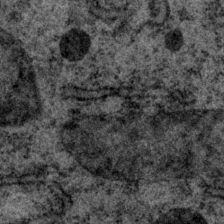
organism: P. pacificus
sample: Pharynx